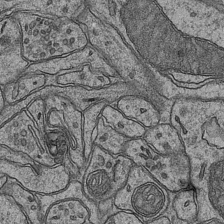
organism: Mouse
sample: CA1 Hippocampus